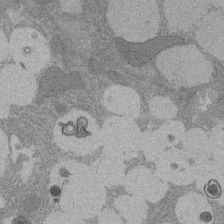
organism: Rat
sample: Salivary granule